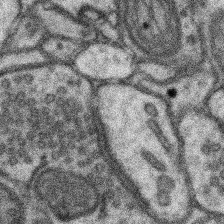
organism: Mouse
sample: Somatosensory cortex neuropil